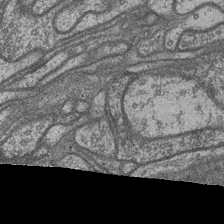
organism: Drosophila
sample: Optic medulla